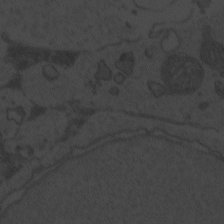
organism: Zebrafish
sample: Macrophage infected with Toxoplasma gondii